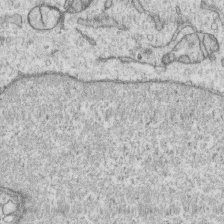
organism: Human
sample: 1205lu cells